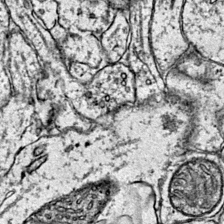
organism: Mouse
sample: Primary visual cortex